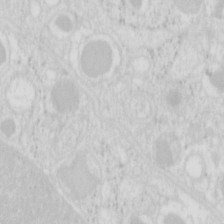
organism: Mouse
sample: Pancreas